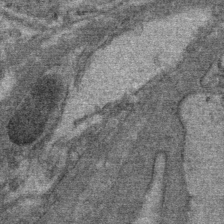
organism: Mouse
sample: Mouse Salivary gland